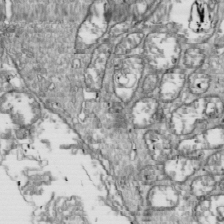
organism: Drosophila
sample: Cell division; meiosis; drosophila spermatocytes